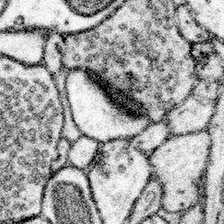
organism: Mouse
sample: Somatosensory cortex neuropil